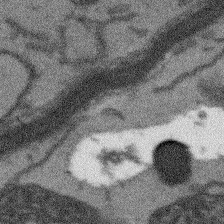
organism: Arabidopsis thaliana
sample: Root tip